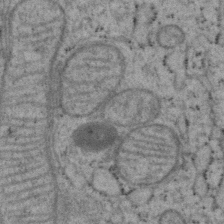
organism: Human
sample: HeLa cells